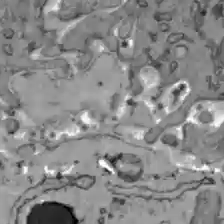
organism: C57BL Mouse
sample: Liver